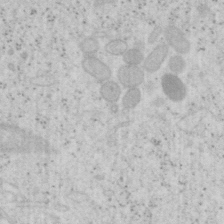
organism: Human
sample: HeLa cells